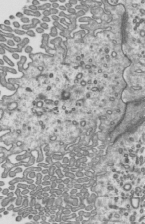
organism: Mouse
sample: Mouse epididymis efferent ductule cilia